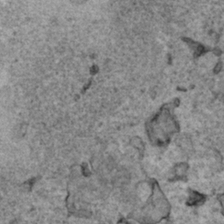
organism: Human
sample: Mitochondria in HCT116 cells